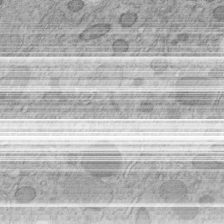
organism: C. elegans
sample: C. elegans embryo early stage